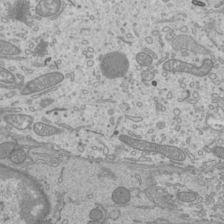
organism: Mouse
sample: Cilia; mouse epididymis